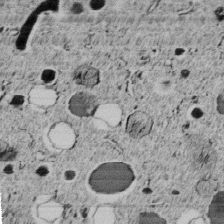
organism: C. elegans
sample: C. elegans embryo early stage